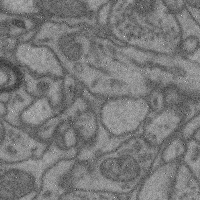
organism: Mouse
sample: Cerebral cortex